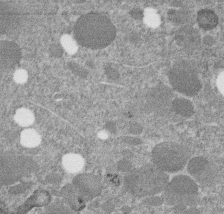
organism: C. elegans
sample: C. elegans embryo early stage